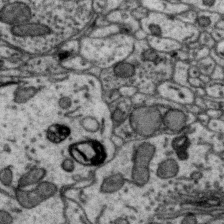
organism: Zebra finch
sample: Brain